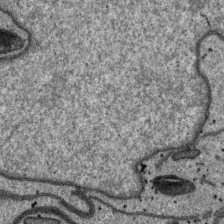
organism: Human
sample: Lung epithelial cells, uninfected (mock) control